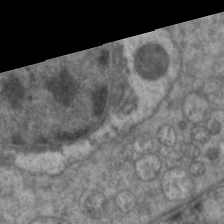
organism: C. elegans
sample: Pharynx